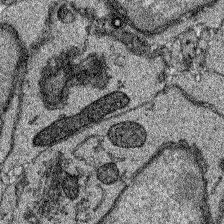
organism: Zebrafish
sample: Larval olfactory bulb